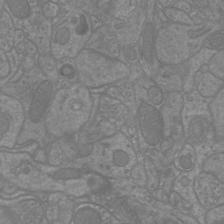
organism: Mouse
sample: Cortical neurons